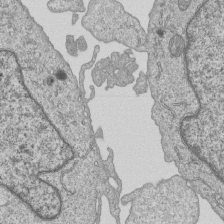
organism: Human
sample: MDA-MB-231 cells